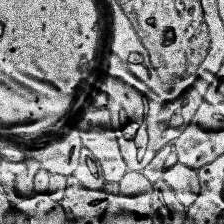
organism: Human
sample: Temporal Lobe